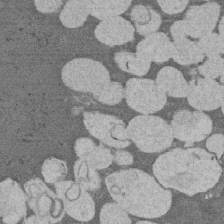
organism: Rat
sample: Salivary granule